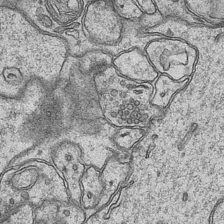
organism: Mouse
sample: CA1 Hippocampus